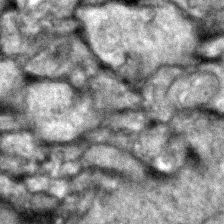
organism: Zebrafish